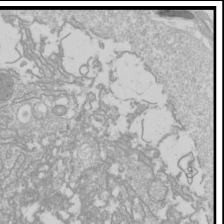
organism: Drosophila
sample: Cell division; meiosis; drosophila spermatocytes